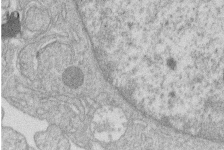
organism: Human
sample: Macrophage cells